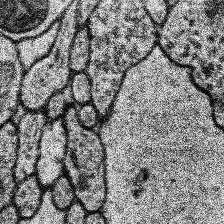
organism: Human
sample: Temporal Lobe